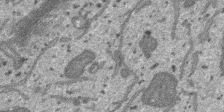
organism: Human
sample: Lung epithelial cells infected with SARS-CoV-2